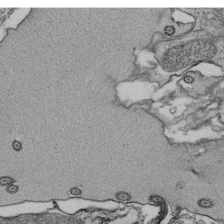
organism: Tetrahymena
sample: Cilia in tetrahymena